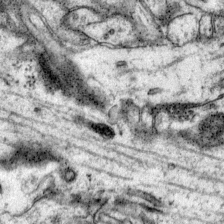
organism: Mouse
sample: Primary visual cortex